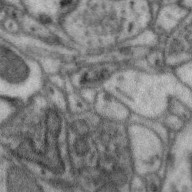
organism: Zebra finch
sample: Brain